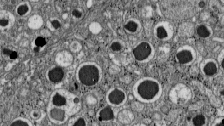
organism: C57BL Mouse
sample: Pancreatic islet